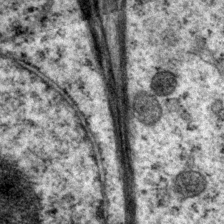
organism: P. pacificus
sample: Pharynx